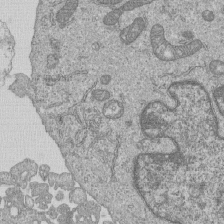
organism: Human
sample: MDA-MB-231 cells